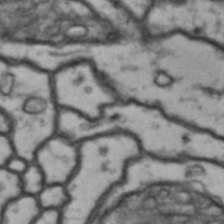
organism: Drosophila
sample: Brain